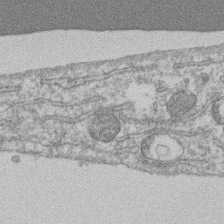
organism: Mouse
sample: T cell stromal cell synapse